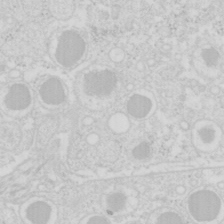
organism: Mouse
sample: Pancreas